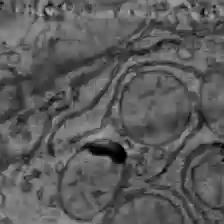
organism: C57BL Mouse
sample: Liver